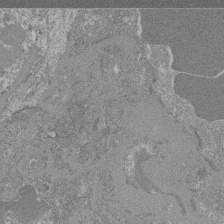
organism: Mouse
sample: Glomerulus